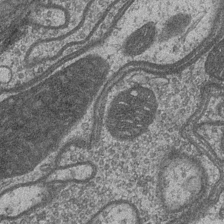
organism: Drosophila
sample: Optic medulla